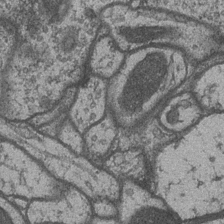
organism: Drosophila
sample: Optic medulla